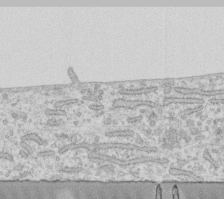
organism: Human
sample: Fibroblast cells